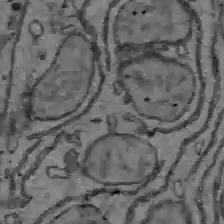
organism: C57BL Mouse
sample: Liver